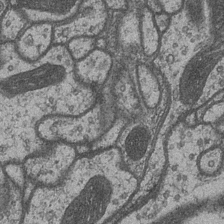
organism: Drosophila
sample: Optic medulla